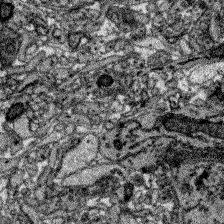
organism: Zebrafish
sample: Larval olfactory bulb